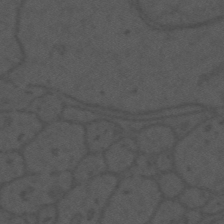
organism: Mouse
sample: Suprachiasmatic nucleus